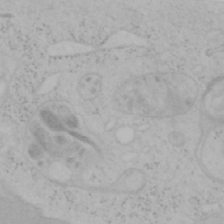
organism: Mouse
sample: OT-I killer T cells with ID8 ovarian cancer cells